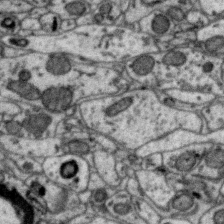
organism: Zebra finch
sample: Brain